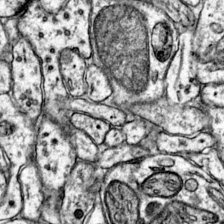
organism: Mouse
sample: Primary visual cortex